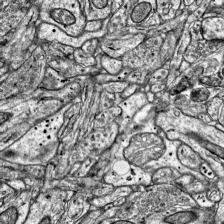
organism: Mouse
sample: Visual Cortex